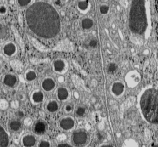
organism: C57BL Mouse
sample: Pancreatic islet